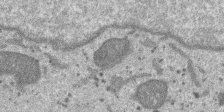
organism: Human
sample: Lung epithelial cells infected with SARS-CoV-2